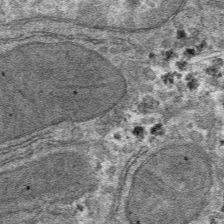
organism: Mouse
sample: Mouse hepatocytes